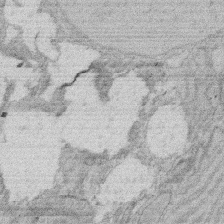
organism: Rat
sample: Salivary granule